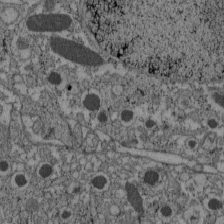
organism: C57BL Mouse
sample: Pancreatic islet